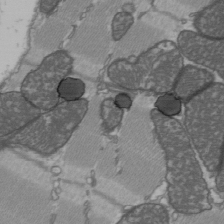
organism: C57BL Mouse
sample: Heart